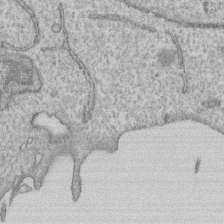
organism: Human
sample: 1205lu cells